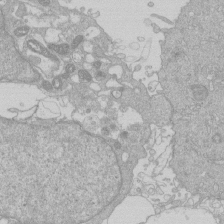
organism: Human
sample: Macrophage cells